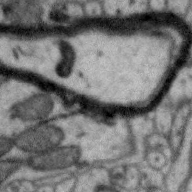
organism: Zebra finch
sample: Brain